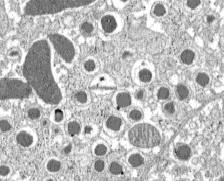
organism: C57BL Mouse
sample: Pancreatic islet